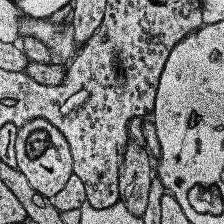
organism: Human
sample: Temporal Lobe